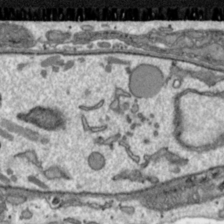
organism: Toxoplasma gondii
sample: Parasites in a vacuole inside a host cell